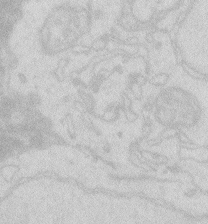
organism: Zebrafish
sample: Macrophage